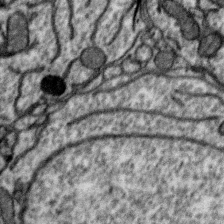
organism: Zebra finch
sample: Brain